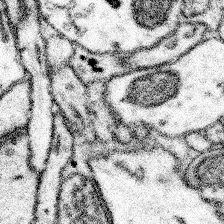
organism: Mouse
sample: Somatosensory cortex neuropil